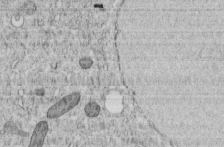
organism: C. elegans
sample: C. elegans embryo early stage